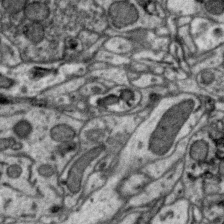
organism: Zebra finch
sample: Brain